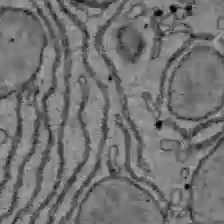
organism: C57BL Mouse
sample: Liver